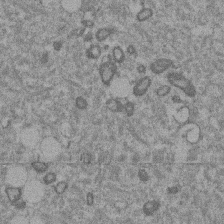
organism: Mouse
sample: Dividing mouse embryo 1 cell stage